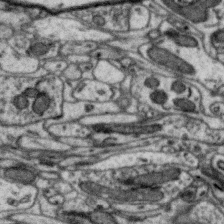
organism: Zebra finch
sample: Brain